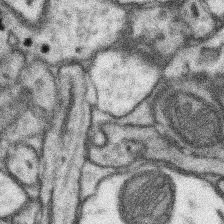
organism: Mouse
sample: Somatosensory cortex neuropil